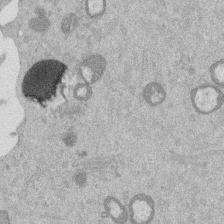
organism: Mouse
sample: Dividing mouse embryo 1 cell stage